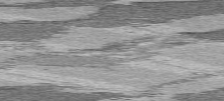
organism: C57BL Mouse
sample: Heart